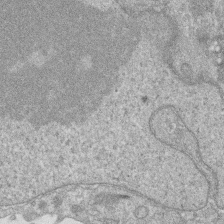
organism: Human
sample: HeLa cell HIV synapse